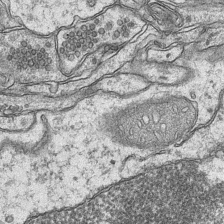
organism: Mouse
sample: CA1 Hippocampus